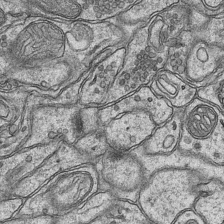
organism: Mouse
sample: CA1 Hippocampus